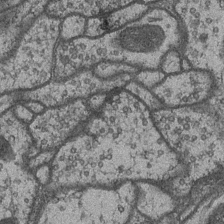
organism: Drosophila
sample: Optic medulla